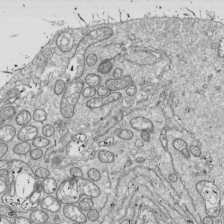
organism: Drosophila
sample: Cell division; meiosis; drosophila spermatocytes